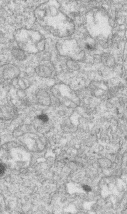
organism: Human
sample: HeLa cell HIV synapse